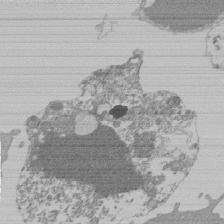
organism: Mouse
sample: Activated Pmel transgenic CD8+ T Cells